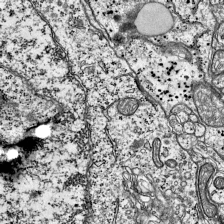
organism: Mouse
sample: Visual Cortex